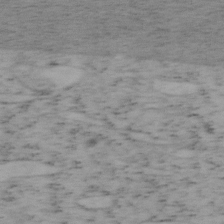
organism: Mouse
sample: OT-I killer T cells with ID8 ovarian cancer cells